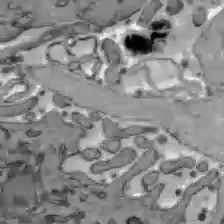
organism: C57BL Mouse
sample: Liver